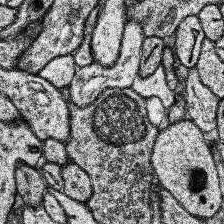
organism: Human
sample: Temporal Lobe